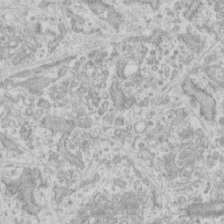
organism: Human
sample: Fibroblast cells